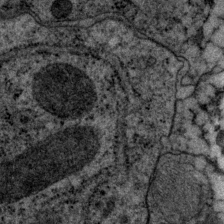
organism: P. pacificus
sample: Pharynx